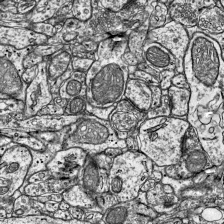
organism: Mouse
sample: Visual Cortex